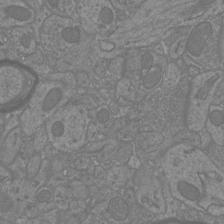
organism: Mouse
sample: Cortical neurons